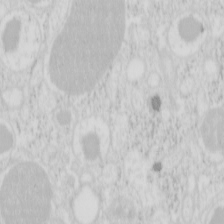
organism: Mouse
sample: Pancreas